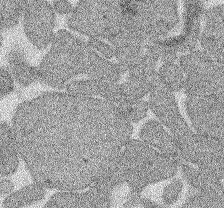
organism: Human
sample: HeLa cells